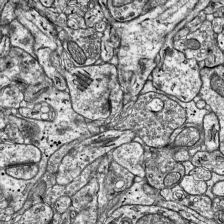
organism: Mouse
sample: Visual Cortex